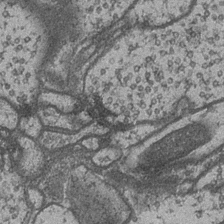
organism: Drosophila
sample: Optic medulla